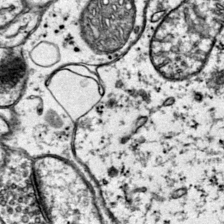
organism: Mouse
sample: Primary visual cortex